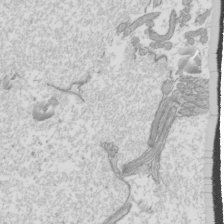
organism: Mouse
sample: Cilia; mouse epididymis